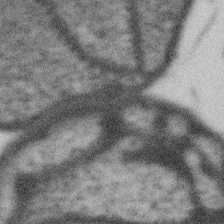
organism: Gemmata obscuriglobus